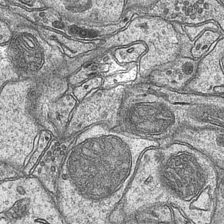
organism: Mouse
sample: CA1 Hippocampus